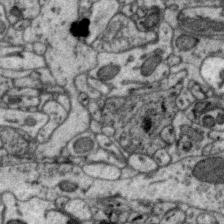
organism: Zebra finch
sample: Brain